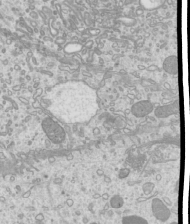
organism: Mouse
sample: Cilia; mouse epididymis